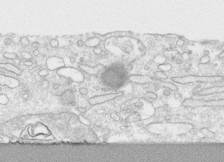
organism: Human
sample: CRL-1474